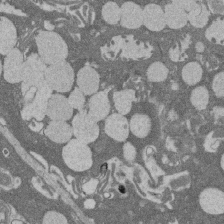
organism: Rat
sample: Salivary granule